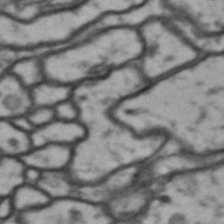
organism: Drosophila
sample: Brain